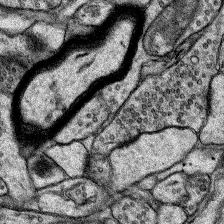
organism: Rat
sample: Hippocampus